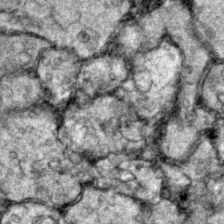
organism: Zebrafish